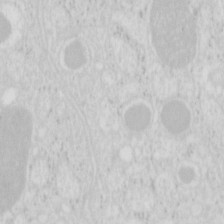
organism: Mouse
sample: Pancreas